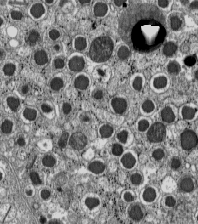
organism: C57BL Mouse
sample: Pancreatic islet